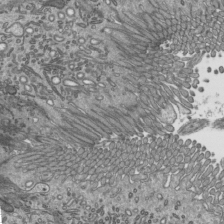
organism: Mouse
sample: Mouse epididymis efferent ductule cilia